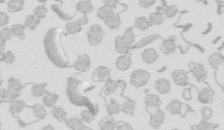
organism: Mouse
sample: Multiciliated cells